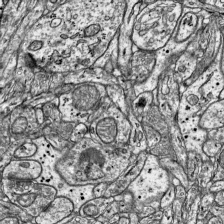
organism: Mouse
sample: Visual Cortex